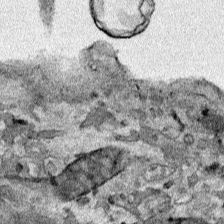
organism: Human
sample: Mitochondria in HCT116 cells